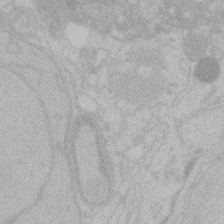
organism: Zebrafish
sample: Macrophage infected with Toxoplasma gondii